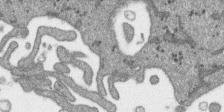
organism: Human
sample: Lung epithelial cells infected with SARS-CoV-2